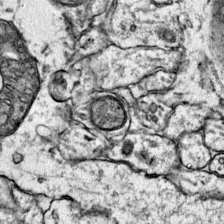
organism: Mouse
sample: Primary visual cortex